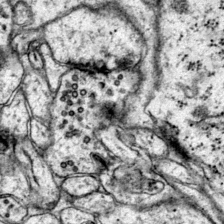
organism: Mouse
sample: Primary visual cortex